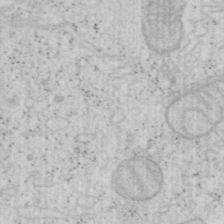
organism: Human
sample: HeLa cells